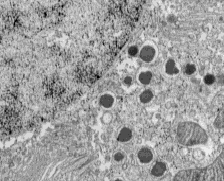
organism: C57BL Mouse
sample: Pancreatic islet